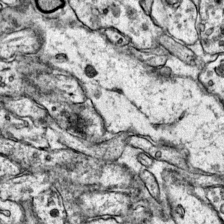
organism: Mouse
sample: Primary visual cortex